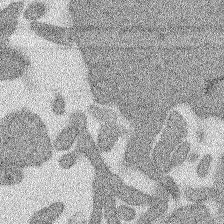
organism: Human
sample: HeLa cells